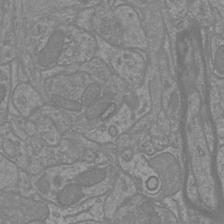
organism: Mouse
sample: Cortical neurons